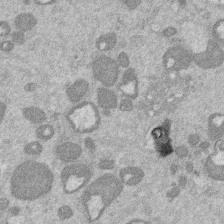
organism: Mouse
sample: Dividing mouse embryo 1 cell stage